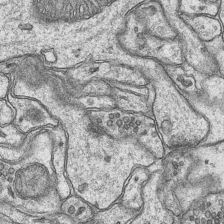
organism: Mouse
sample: CA1 Hippocampus